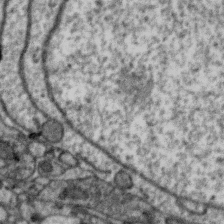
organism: Zebra finch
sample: Brain